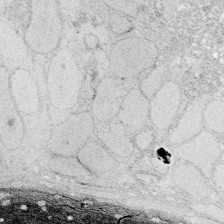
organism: Zebrafish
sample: Whole-Brain